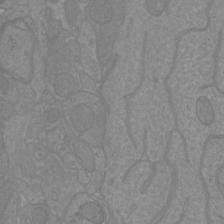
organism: Mouse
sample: Cortical neurons